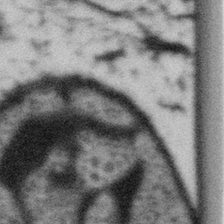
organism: Gemmata obscuriglobus